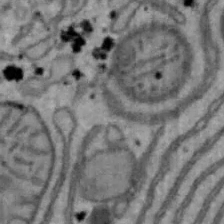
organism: Mouse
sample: Liver